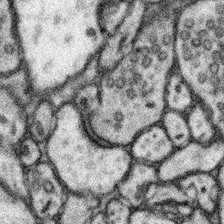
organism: Mouse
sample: Somatosensory cortex neuropil